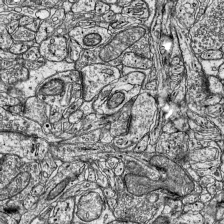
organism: Mouse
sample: Visual Cortex